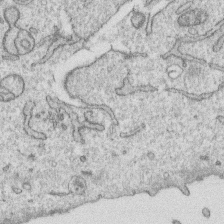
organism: Human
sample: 1205lu cells